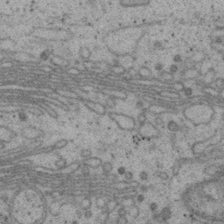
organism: Human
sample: HeLa cells